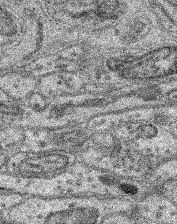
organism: Mouse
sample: Retina